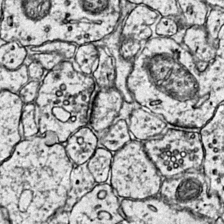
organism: Mouse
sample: Primary visual cortex